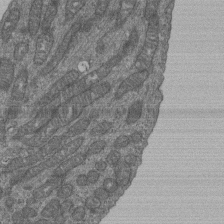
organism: Human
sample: Retinal organoid Rod and Cone cells